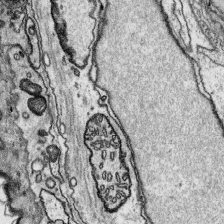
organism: Platynereis dumerilii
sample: Parapodia